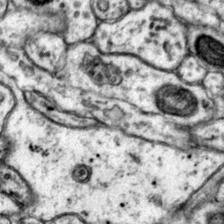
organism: Mouse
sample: Primary visual cortex